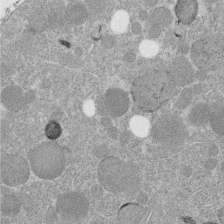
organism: C. elegans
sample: C. elegans embryo early stage